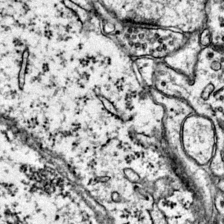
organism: Mouse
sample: Primary visual cortex